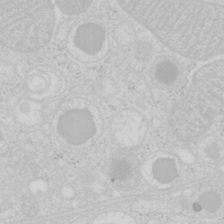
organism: Mouse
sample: Pancreas